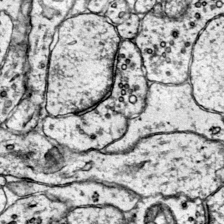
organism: Mouse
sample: Primary visual cortex